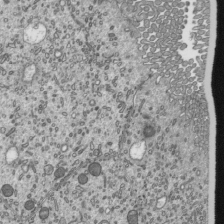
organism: Mouse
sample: Mouse epididymis efferent ductule cilia